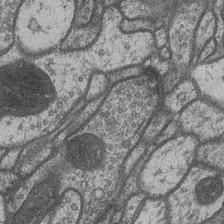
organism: Drosophila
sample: Optic medulla